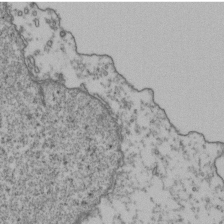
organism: Human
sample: Activated Jurkat CD4+ T cells